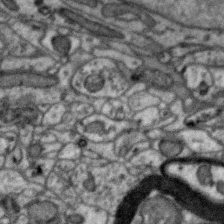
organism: Zebra finch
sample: Brain